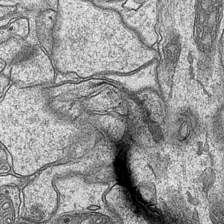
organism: Mouse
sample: CA1 Hippocampus